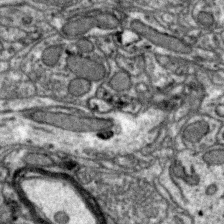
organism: Zebra finch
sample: Brain